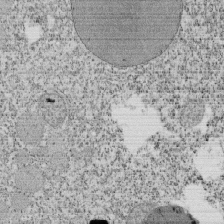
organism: Tetrahymena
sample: Cilia in tetrahymena